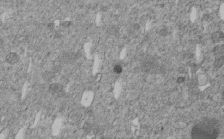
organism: C. elegans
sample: C. elegans embryo early stage